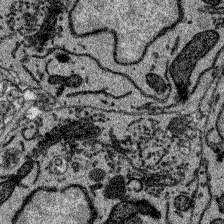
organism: Zebrafish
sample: Larval olfactory bulb